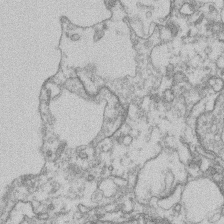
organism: Mouse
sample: T cell stromal cell synapse